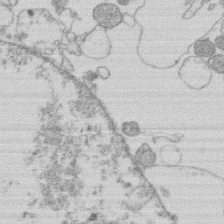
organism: Human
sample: Macrophage cells